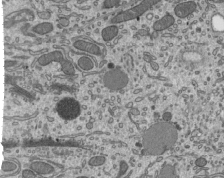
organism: Mouse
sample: Mouse epididymis efferent ductule cilia